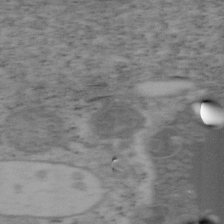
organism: Mouse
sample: OT-I killer T cells with ID8 ovarian cancer cells